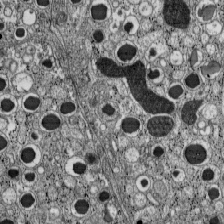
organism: C57BL Mouse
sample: Pancreatic islet